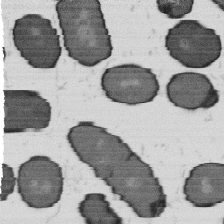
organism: B. subtilis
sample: Bacterial spore